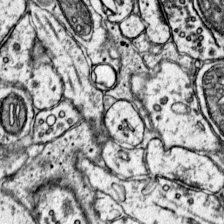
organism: Mouse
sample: Primary visual cortex